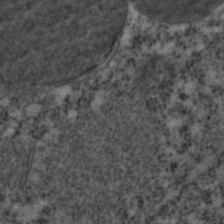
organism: C. elegans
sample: C. elegans embryo